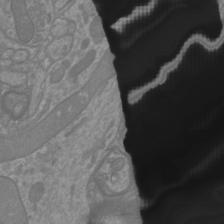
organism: Mouse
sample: Cortical neurons